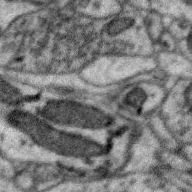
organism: Zebra finch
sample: Brain